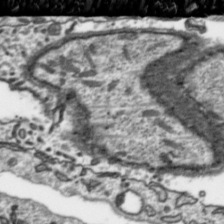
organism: Toxoplasma gondii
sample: Parasites in a vacuole inside a host cell